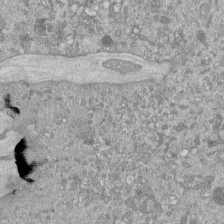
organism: Mouse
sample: ED-1 cell nuclei; centrioles